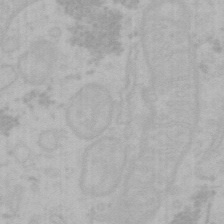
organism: Mouse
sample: Choroid plexus